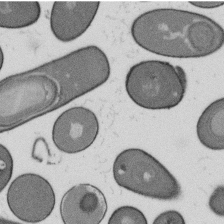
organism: B. subtilis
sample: Bacterial spore